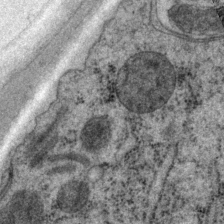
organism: P. pacificus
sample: Pharynx